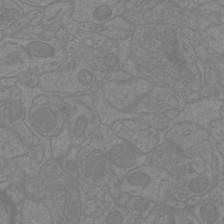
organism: Mouse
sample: Cortical neurons